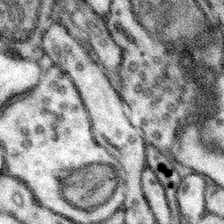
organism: Mouse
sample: Somatosensory cortex neuropil